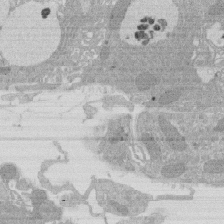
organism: Rat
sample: Salivary granule